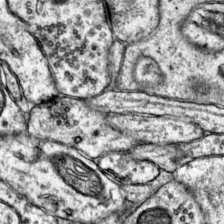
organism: Mouse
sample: Primary visual cortex